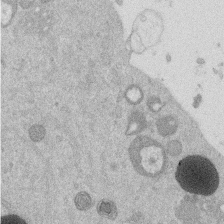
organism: Mouse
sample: Dividing mouse embryo 1 cell stage